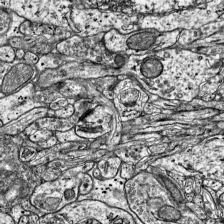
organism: Mouse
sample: Visual Cortex